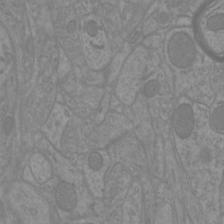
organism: Mouse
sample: Cortical neurons